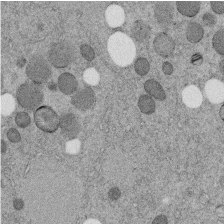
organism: C. elegans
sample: C. elegans embryo early stage